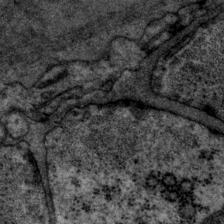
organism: P. pacificus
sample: Pharynx